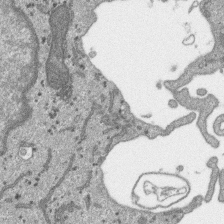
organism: Human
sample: Lung epithelial cells infected with SARS-CoV-2